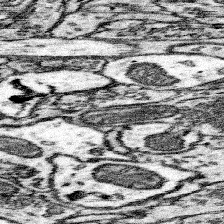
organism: Mouse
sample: Somatosensory cortex neuropil